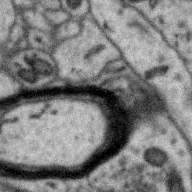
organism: Zebra finch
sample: Brain